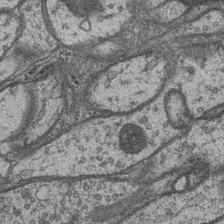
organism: Drosophila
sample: Optic medulla